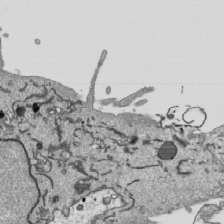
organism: Human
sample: Mitochondria in HCT116 cells